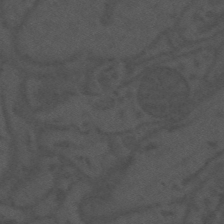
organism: Mouse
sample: Suprachiasmatic nucleus